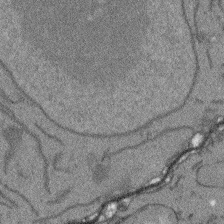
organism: Arabidopsis thaliana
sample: Root tip